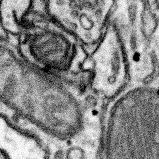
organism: Mouse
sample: Somatosensory cortex neuropil